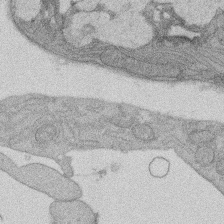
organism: Rat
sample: Salivary granule